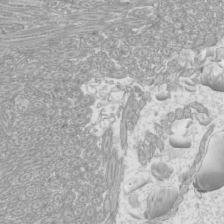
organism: Mouse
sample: Cilia; mouse epididymis